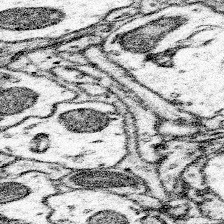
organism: Mouse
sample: Somatosensory cortex neuropil